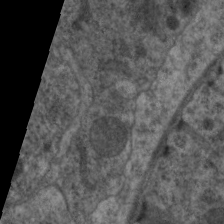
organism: C. elegans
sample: Pharynx